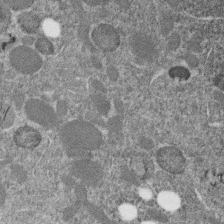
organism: C. elegans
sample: C. elegans embryo early stage